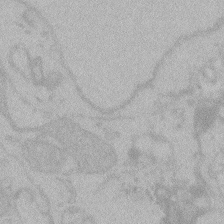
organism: Zebrafish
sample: Macrophage infected with Toxoplasma gondii